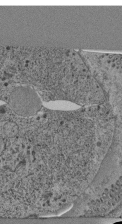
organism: C. elegans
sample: C. elegans pharynx